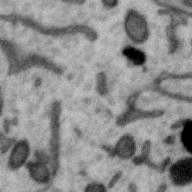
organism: Zebra finch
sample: Brain